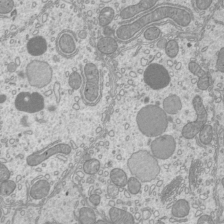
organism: Mouse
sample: Cilia; mouse epididymis